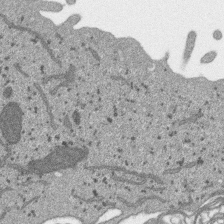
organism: Human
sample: Lung epithelial cells infected with SARS-CoV-2